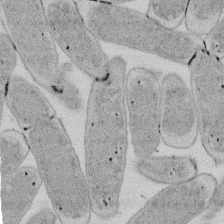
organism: E. coli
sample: Bacterial nucleoid